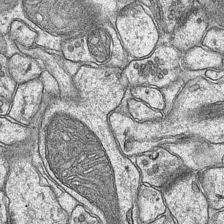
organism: Mouse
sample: CA1 Hippocampus